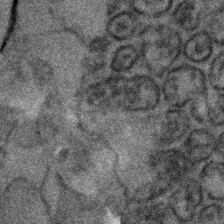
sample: Kidney